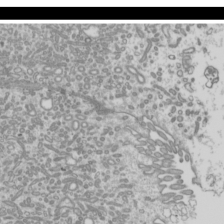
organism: Mouse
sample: Cilia; mouse epididymis